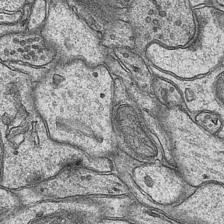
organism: Mouse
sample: CA1 Hippocampus